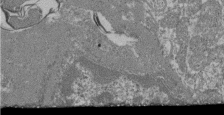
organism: Mouse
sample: Glomerulus